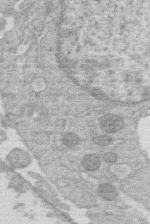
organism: Human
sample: Macrophage cells